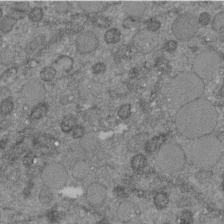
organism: C. elegans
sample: C. elegans embryo early stage